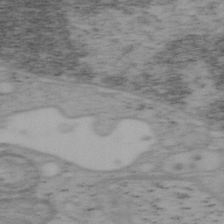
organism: Mouse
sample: OT-I killer T cells with ID8 ovarian cancer cells